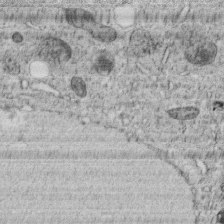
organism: C. elegans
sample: C. elegans embryo early stage